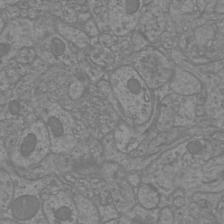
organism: Mouse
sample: Cortical neurons